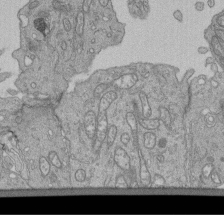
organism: Human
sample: Retinal organoid Rod and Cone cells